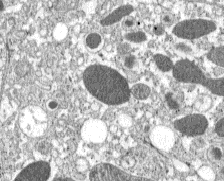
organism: C57BL Mouse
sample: Pancreatic islet